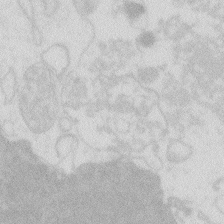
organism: Zebrafish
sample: Macrophage